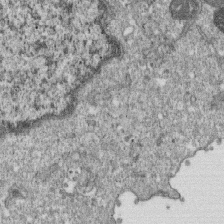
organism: African green monkey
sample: Vero E6 cells infected with SARS-CoV-2